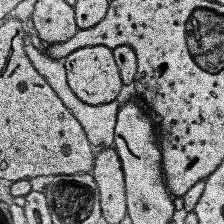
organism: Human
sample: Temporal Lobe